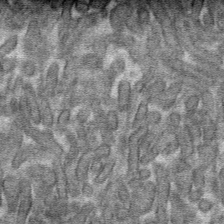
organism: Mouse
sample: Mouse hepatocytes